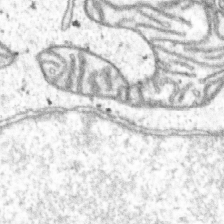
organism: Human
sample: HeLa cells